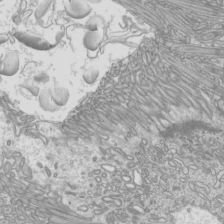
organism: Mouse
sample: Cilia; mouse epididymis